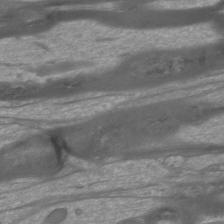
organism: Mouse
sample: Cortical neurons